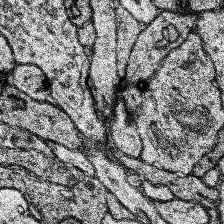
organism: Human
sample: Temporal Lobe